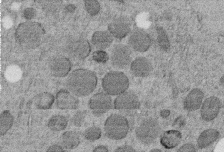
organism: C. elegans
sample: C. elegans embryo early stage